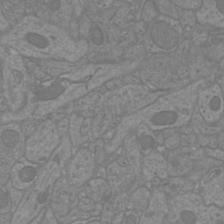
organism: Mouse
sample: Cortical neurons